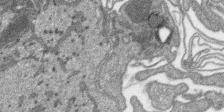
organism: Human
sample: Lung epithelial cells infected with SARS-CoV-2